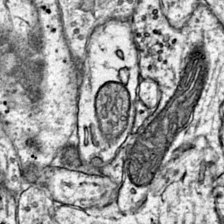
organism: Mouse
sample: Primary visual cortex